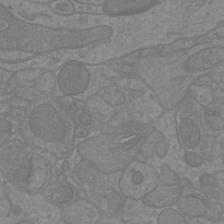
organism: Mouse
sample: Cortical neurons